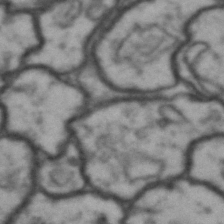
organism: Drosophila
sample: Brain